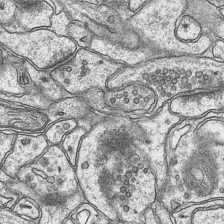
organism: Mouse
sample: CA1 Hippocampus